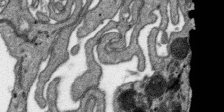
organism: Human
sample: Lung epithelial cells, uninfected (mock) control